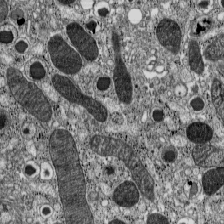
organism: C57BL Mouse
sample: Pancreatic islet